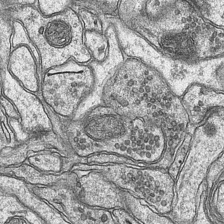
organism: Mouse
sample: CA1 Hippocampus